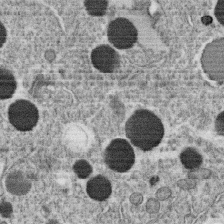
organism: C. elegans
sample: C. elegans oocyte; sperm cells